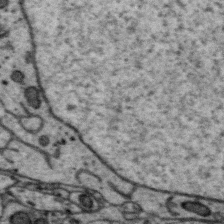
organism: Zebra finch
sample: Brain